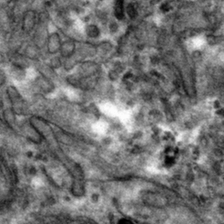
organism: Mouse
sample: Mouse hepatocytes